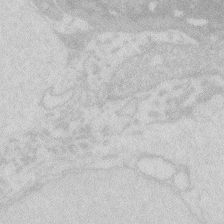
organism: Zebrafish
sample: Macrophage